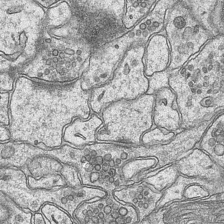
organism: Mouse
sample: CA1 Hippocampus